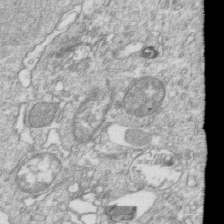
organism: Mouse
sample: Activated OT-1 CD8+ T cells